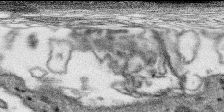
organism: Human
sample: Lung epithelial cells infected with SARS-CoV-2